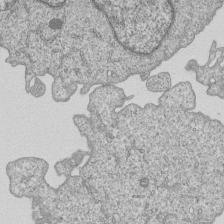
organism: Human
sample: MDA-MB-231 cells